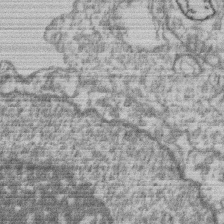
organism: Mouse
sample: T cell stromal cell synapse